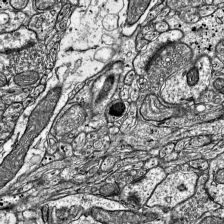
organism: Mouse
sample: Visual Cortex